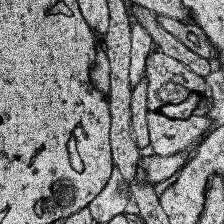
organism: Human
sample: Temporal Lobe